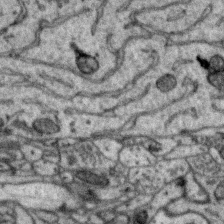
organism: Zebra finch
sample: Brain